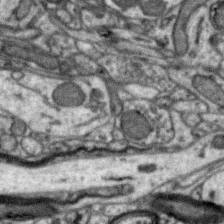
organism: Zebra finch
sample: Brain